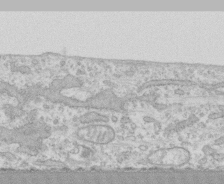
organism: Human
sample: CRL-1474